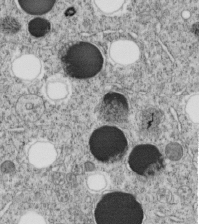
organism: C. elegans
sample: C. elegans embryo early stage